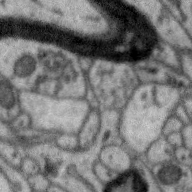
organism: Zebra finch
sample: Brain